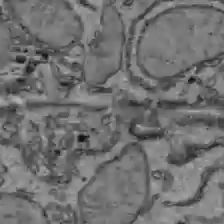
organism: C57BL Mouse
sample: Liver